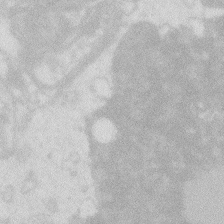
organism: Zebrafish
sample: Macrophage